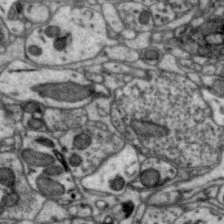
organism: Zebra finch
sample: Brain